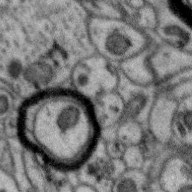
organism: Zebra finch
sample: Brain